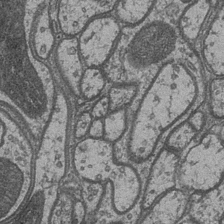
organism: Drosophila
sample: Optic medulla